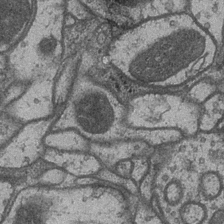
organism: Drosophila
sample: Optic medulla